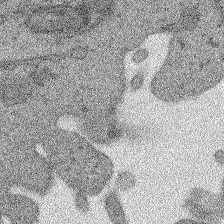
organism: Human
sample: HeLa cells